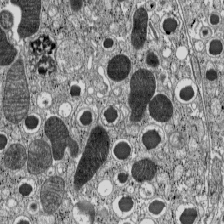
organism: C57BL Mouse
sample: Pancreatic islet